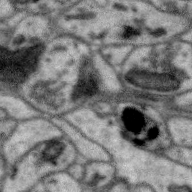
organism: Zebra finch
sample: Brain